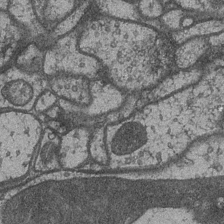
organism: Drosophila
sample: Optic medulla